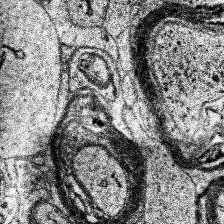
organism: Human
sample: Temporal Lobe